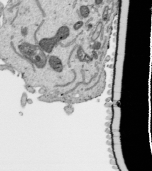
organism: Human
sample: Mitochondria in HCT116 cells